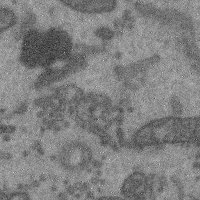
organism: Mouse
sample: Cerebral cortex